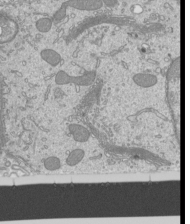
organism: Mouse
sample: Cilia; mouse epididymis